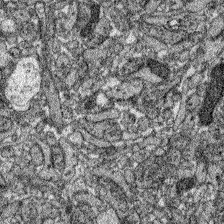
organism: Zebrafish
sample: Larval olfactory bulb